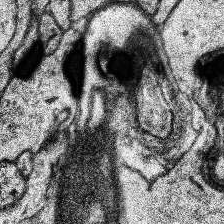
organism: Human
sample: Temporal Lobe